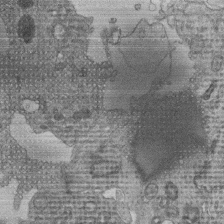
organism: Human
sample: Retinal organoid Rod and Cone cells